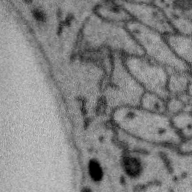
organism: Zebra finch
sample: Brain